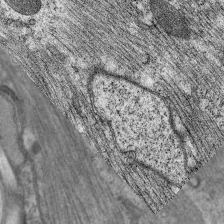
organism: C. elegans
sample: Pharynx